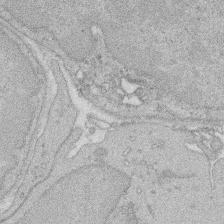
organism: Rat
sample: Salivary granule